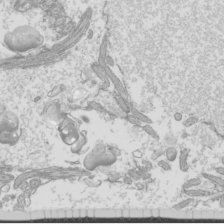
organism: Mouse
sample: Cilia; mouse epididymis